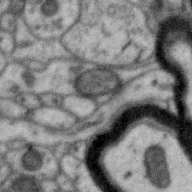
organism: Zebra finch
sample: Brain